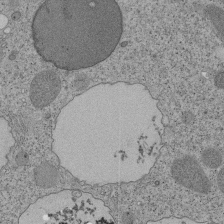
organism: Tetrahymena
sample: Cilia in tetrahymena